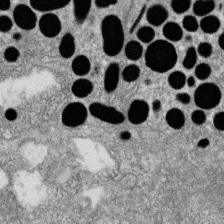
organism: Zebrafish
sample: Cilia; retinal pigment epithelium